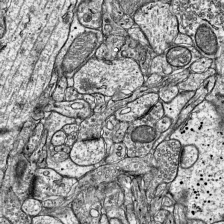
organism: Mouse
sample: Visual Cortex